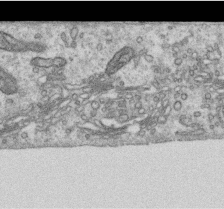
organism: Human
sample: Centriole in RPE cells